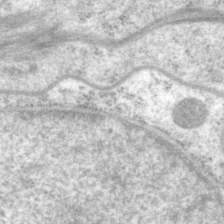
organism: P. pacificus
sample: Pharynx